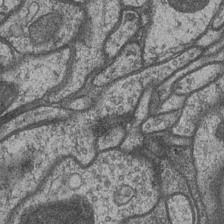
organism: Drosophila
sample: Optic medulla